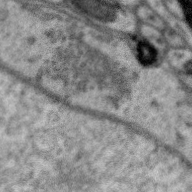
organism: Zebra finch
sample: Brain